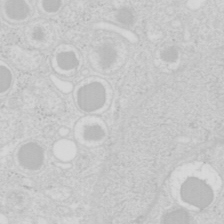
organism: Mouse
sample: Pancreas